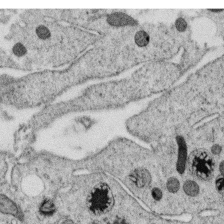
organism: C. elegans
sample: C. elegans oocyte; sperm cells